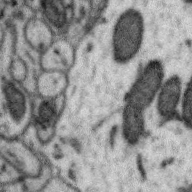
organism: Zebra finch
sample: Brain